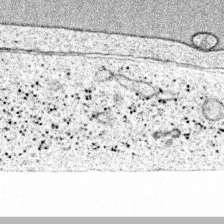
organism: Human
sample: HeLa cells